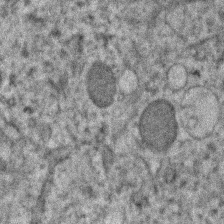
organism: Human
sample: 1205lu cells